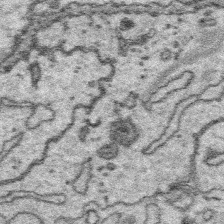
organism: Platynereis dumerilii